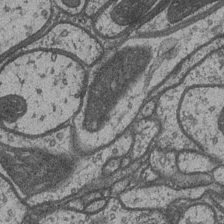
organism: Drosophila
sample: Optic medulla